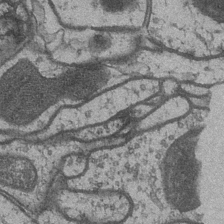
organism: Drosophila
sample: Optic medulla